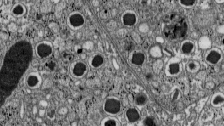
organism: C57BL Mouse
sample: Pancreatic islet